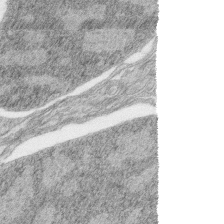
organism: Zebrafish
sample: synaptic ribbons in rod cells and cone cells